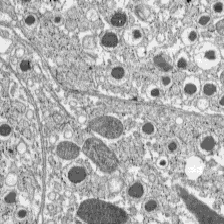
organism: C57BL Mouse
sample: Pancreatic islet